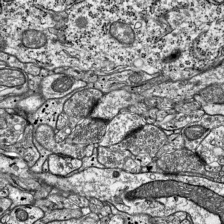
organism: Mouse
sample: Visual Cortex